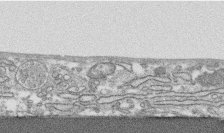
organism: Human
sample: CRL-1474